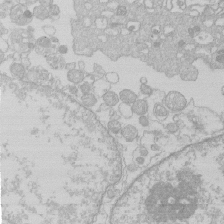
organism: Human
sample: Macrophage cells